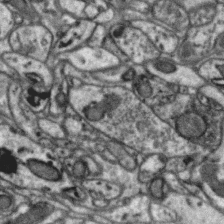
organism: Zebra finch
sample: Brain